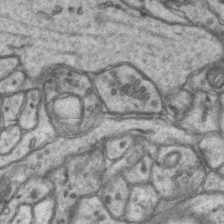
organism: Mouse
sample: CA1 Hippocampus